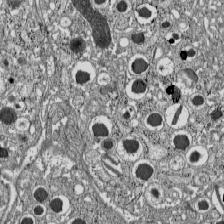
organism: C57BL Mouse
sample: Pancreatic islet